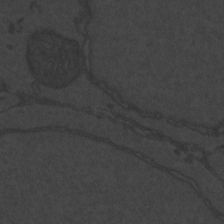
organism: Zebrafish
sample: Macrophage infected with Toxoplasma gondii